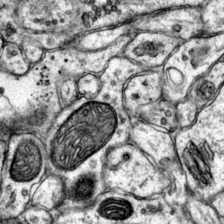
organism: Mouse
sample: Primary visual cortex